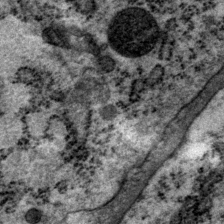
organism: P. pacificus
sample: Pharynx